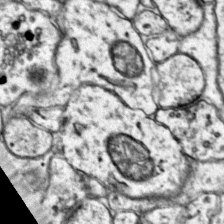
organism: Mouse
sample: Primary visual cortex